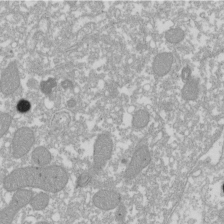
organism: Xenopus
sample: Cilia; centrioles in frog embryo cells